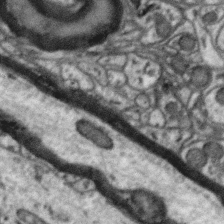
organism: Zebra finch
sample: Brain